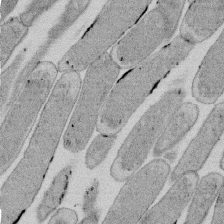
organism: E. coli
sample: Bacterial nucleoid